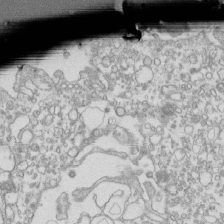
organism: Mouse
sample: Macrophages